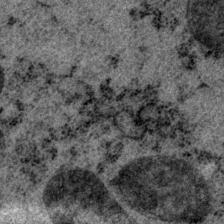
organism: P. pacificus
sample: Pharynx